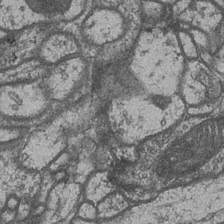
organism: Drosophila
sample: Optic medulla